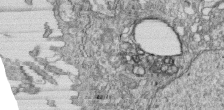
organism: Human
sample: HeLa cell HIV synapse